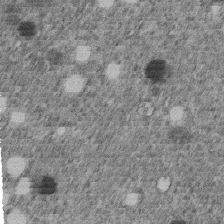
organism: C. elegans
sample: C. elegans embryo early stage